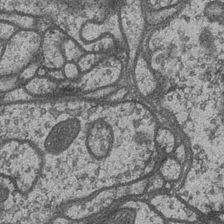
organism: Drosophila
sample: Optic medulla